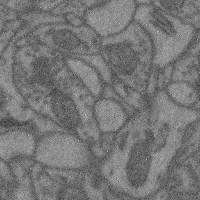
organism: Mouse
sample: Cerebral cortex